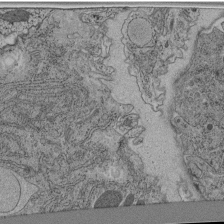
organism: C. elegans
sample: C. elegans pharynx